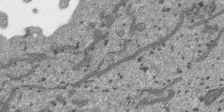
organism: Human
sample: Lung epithelial cells infected with SARS-CoV-2